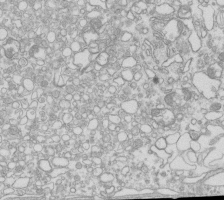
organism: Mouse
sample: Macrophages